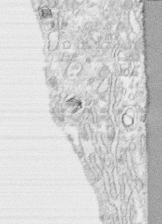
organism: Human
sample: CRL-1474